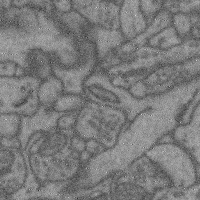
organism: Mouse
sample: Cerebral cortex